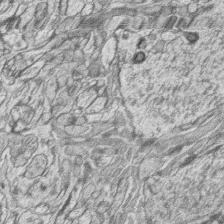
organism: Zebrafish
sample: synaptic ribbons in rod cells and cone cells